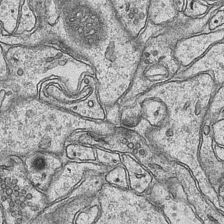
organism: Mouse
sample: CA1 Hippocampus